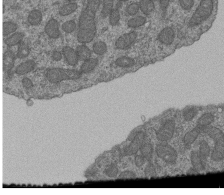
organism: Human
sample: Retinal organoid Rod and Cone cells